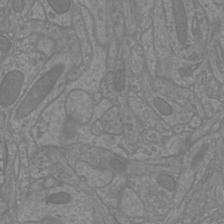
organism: Mouse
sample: Cortical neurons